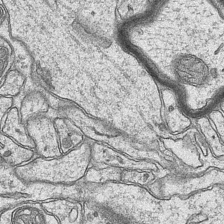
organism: Mouse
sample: CA1 Hippocampus